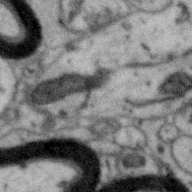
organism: Zebra finch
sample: Brain